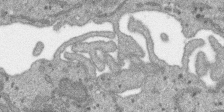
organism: Human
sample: Lung epithelial cells infected with SARS-CoV-2